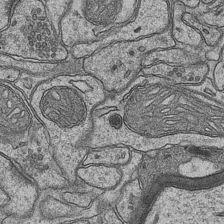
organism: Mouse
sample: CA1 Hippocampus